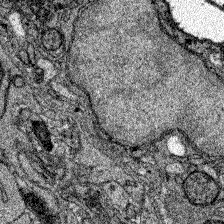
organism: Zebrafish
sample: Larval olfactory bulb